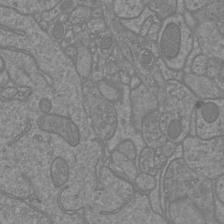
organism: Mouse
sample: Cortical neurons